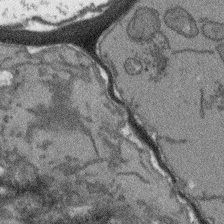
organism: Arabidopsis thaliana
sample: Root tip